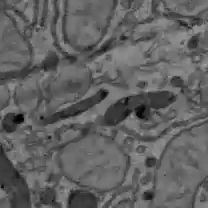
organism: C57BL Mouse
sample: Liver